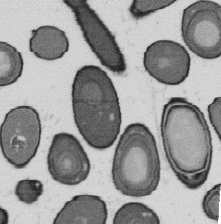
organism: B. subtilis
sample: Bacterial spore